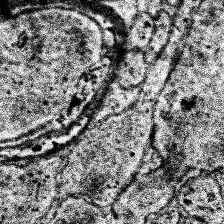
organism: Human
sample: Temporal Lobe